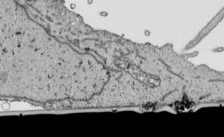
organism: Human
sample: Mitochondria in HCT116 cells